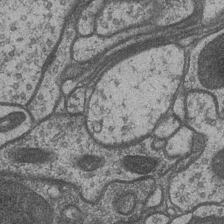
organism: Drosophila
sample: Optic medulla